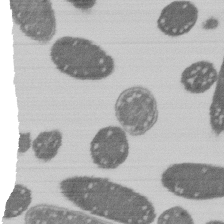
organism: E. coli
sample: Bacterial nucleoid